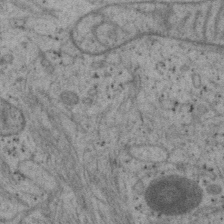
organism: Human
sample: HeLa cells